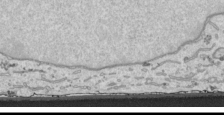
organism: Human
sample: Mitochondria in HCT116 cells